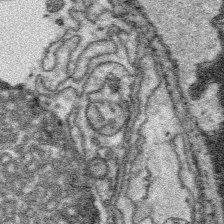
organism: Platynereis dumerilii